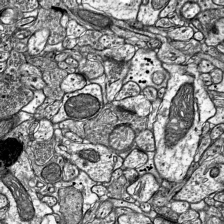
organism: Mouse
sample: Visual Cortex